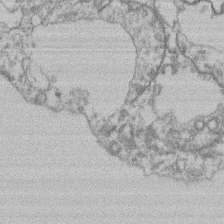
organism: Mouse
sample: T cell stromal cell synapse